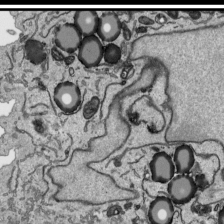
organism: Human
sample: Mitochondria in HCT116 cells